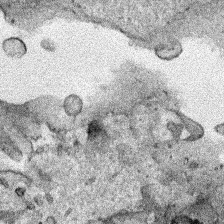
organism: Human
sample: Mitochondria in HCT116 cells